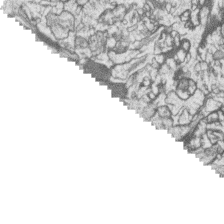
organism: Zebrafish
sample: synaptic ribbons in rod cells and cone cells